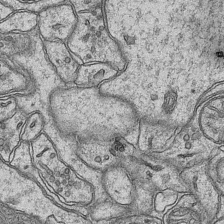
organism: Mouse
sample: CA1 Hippocampus